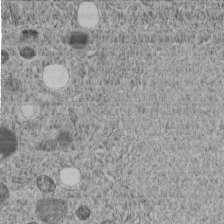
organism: C. elegans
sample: C. elegans embryo early stage